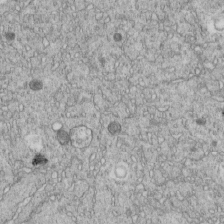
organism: C. elegans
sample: C. elegans embryo early stage